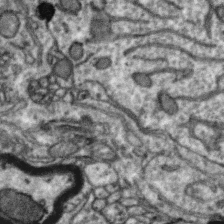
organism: Zebra finch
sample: Brain